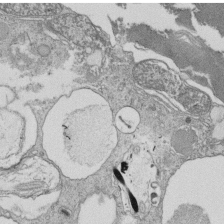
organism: Tetrahymena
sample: Cilia in tetrahymena